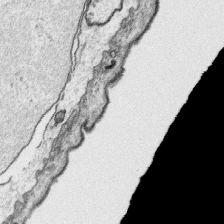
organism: Platynereis dumerilii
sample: Parapodia